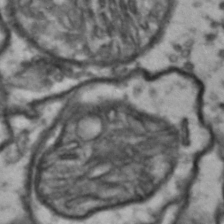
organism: Drosophila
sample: Brain